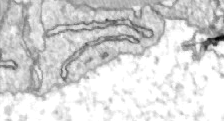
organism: Zebrafish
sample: Actinotrichia fibers